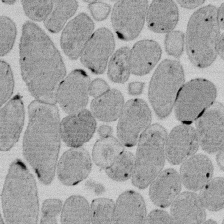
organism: E. coli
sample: Bacterial nucleoid